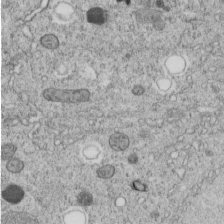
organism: C. elegans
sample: C. elegans embryo early stage